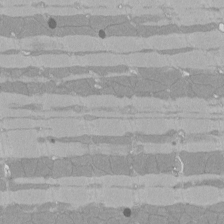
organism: Rat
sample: Left ventricle